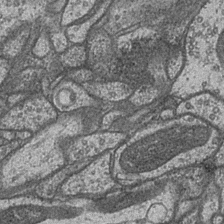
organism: Drosophila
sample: Optic medulla